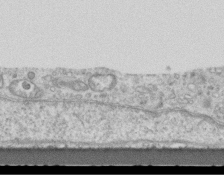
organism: Mouse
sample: Centriole in ependymal cells